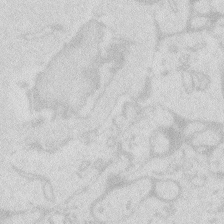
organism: Zebrafish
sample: Macrophage